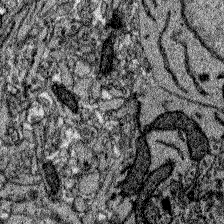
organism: Zebrafish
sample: Larval olfactory bulb